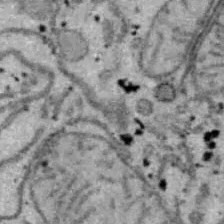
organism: Mouse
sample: Liver from an obese (ob/ob) mouse